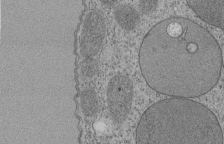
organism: Tetrahymena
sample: Cilia in tetrahymena